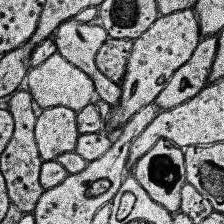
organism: Human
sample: Temporal Lobe